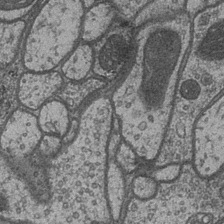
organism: Drosophila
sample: Optic medulla